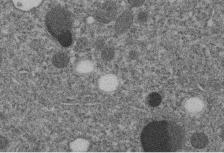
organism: C. elegans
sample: C. elegans embryo early stage